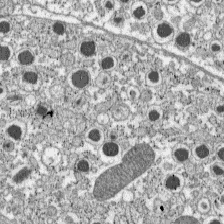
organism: C57BL Mouse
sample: Pancreatic islet